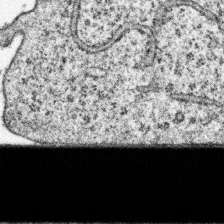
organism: Human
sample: HeLa cells